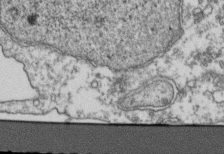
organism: Human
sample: Activated Jurkat CD4+ T cells